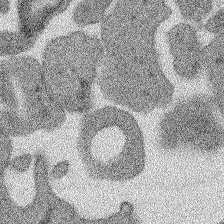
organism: Human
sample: HeLa cells